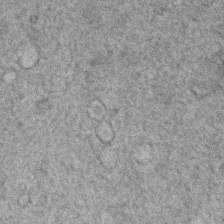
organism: Human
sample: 1205lu cells